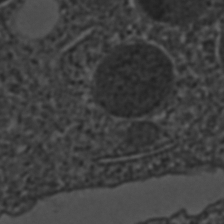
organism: C. elegans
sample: C. elegans embryo